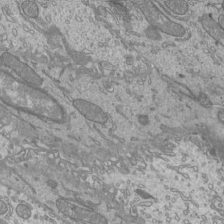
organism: Mouse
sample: Cilia; mouse epididymis